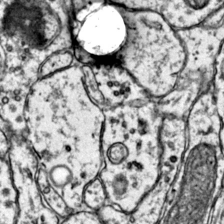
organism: Mouse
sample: Primary visual cortex